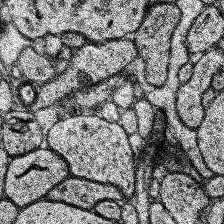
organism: Human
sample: Temporal Lobe